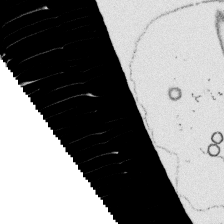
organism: Platynereis dumerilii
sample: Parapodia